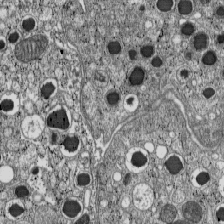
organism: C57BL Mouse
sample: Pancreatic islet